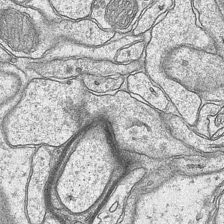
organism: Mouse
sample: CA1 Hippocampus